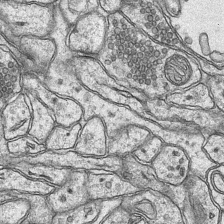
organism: Mouse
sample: CA1 Hippocampus